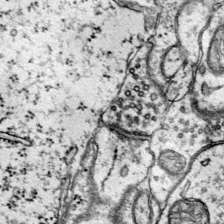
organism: Mouse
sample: Primary visual cortex